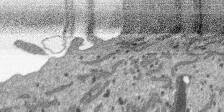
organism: Human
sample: Lung epithelial cells infected with SARS-CoV-2